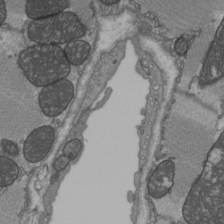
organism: C57BL Mouse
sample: Heart